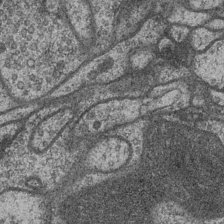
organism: Drosophila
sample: Optic medulla